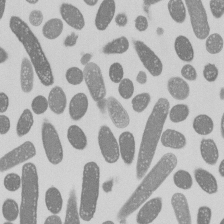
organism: E. coli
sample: Bacterial nucleoid